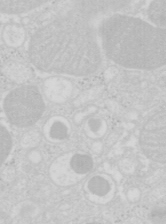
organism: Mouse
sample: Pancreas